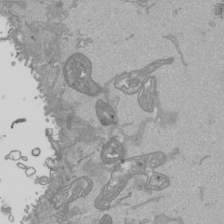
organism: Human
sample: Mitochondria in HCT116 cells